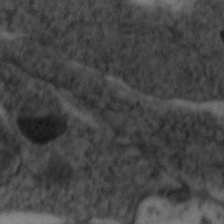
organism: Zebrafish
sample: Zebrafish embryo